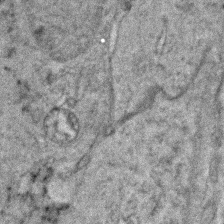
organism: Zebrafish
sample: Zebrafish embryo